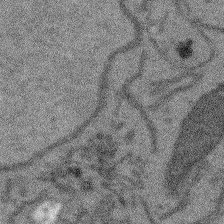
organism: Arabidopsis thaliana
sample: Root tip